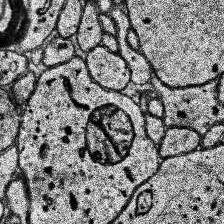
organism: Human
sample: Temporal Lobe